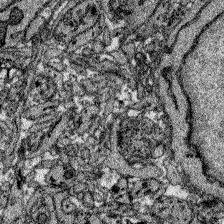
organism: Zebrafish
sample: Larval olfactory bulb